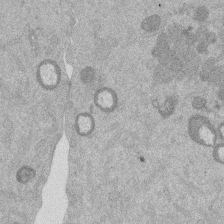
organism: Mouse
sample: Dividing mouse embryo 1 cell stage